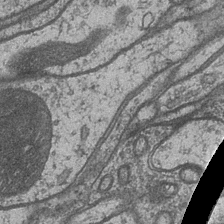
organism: Drosophila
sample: Optic medulla